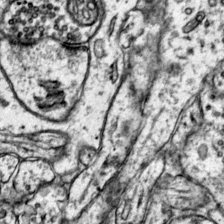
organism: Mouse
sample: Primary visual cortex